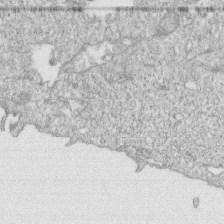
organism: Human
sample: HeLa cell HIV synapse